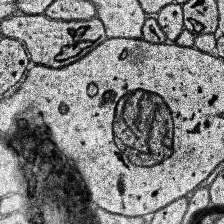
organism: Human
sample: Temporal Lobe